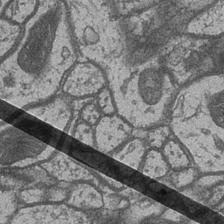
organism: Drosophila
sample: Optic medulla